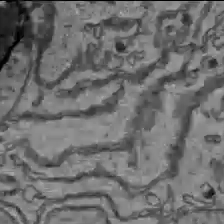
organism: C57BL Mouse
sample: Liver